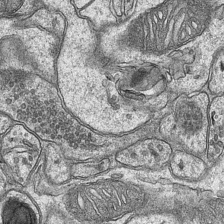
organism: Mouse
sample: CA1 Hippocampus